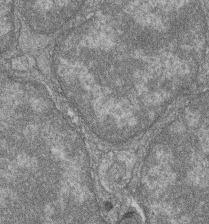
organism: Zebrafish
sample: Cilia; retinal pigment epithelium